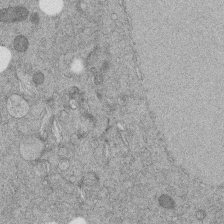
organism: C. elegans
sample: C. elegans embryo early stage